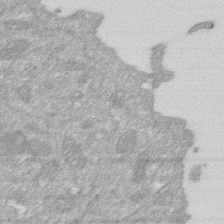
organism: Human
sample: HIV infected U937 cells